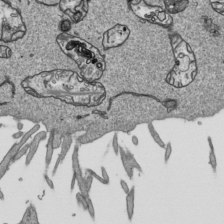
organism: Human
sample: Mitochondria in HCT116 cells